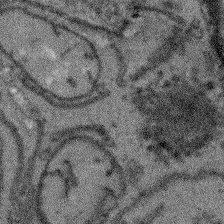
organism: Arabidopsis thaliana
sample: Root tip